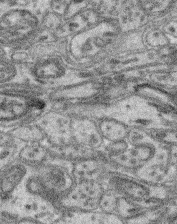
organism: Mouse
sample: Retina